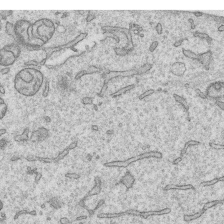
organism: Human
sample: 1205lu cells